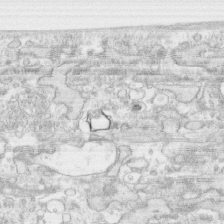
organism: Human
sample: CRL-1474